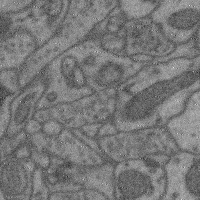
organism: Mouse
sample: Cerebral cortex